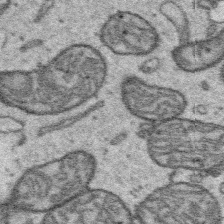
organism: Platynereis dumerilii